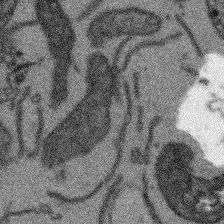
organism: Arabidopsis thaliana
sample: Root tip